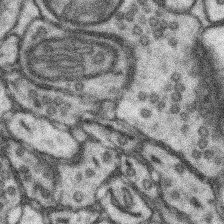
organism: Mouse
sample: Somatosensory cortex neuropil